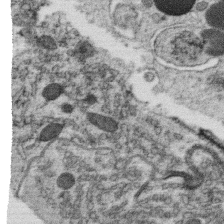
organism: C. elegans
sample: C. elegans oocyte; sperm cells